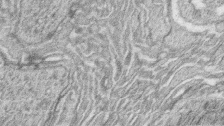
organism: Zebrafish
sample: synaptic ribbons in rod cells and cone cells